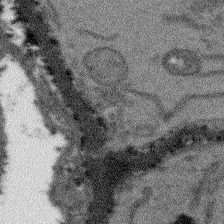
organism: Arabidopsis thaliana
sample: Root tip